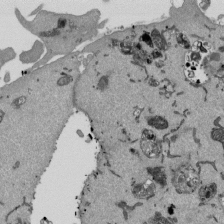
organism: Mouse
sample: ED-1 cell nuclei; centrioles